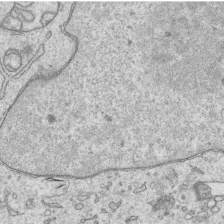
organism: Human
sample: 1205lu cells